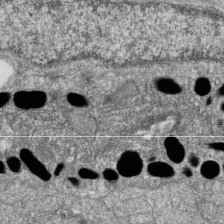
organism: Zebrafish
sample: Cilia; retinal pigment epithelium